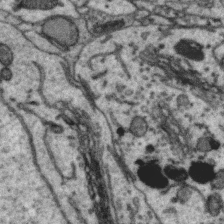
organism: Zebra finch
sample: Brain